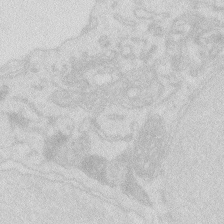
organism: Zebrafish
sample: Macrophage